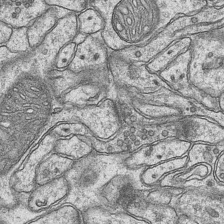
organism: Mouse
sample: CA1 Hippocampus